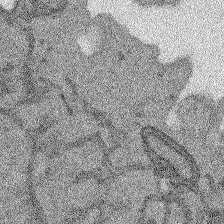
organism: Human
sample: HeLa cells